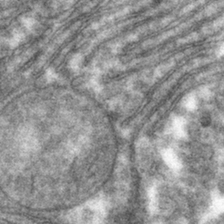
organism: Mouse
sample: Mouse hepatocytes